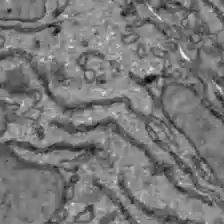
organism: C57BL Mouse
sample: Liver